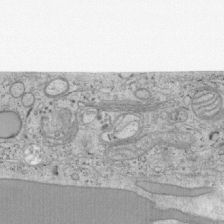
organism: Human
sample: HeLa cells